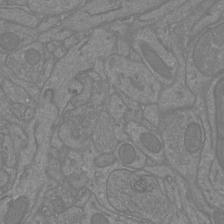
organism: Mouse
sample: Cortical neurons